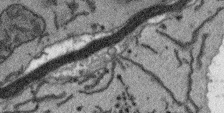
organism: Arabidopsis thaliana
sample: Root tip